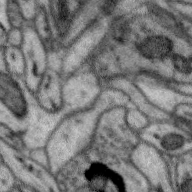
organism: Zebra finch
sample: Brain